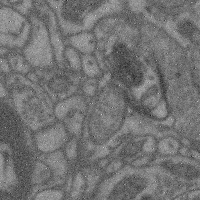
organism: Mouse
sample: Cerebral cortex